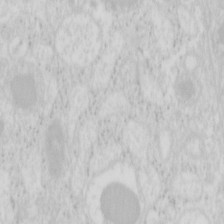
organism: Mouse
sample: Pancreas